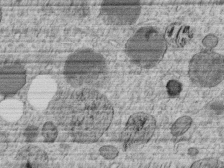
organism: C. elegans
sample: C. elegans embryo early stage